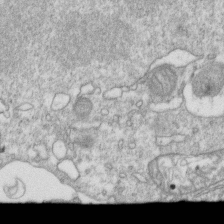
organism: Mouse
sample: Activated OT-1 CD8+ T cells